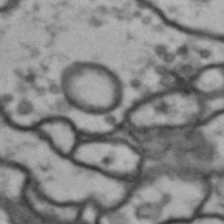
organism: Drosophila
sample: Brain